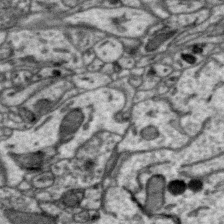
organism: Zebra finch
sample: Brain